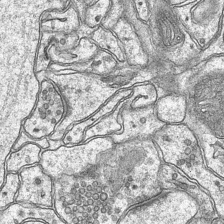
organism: Mouse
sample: CA1 Hippocampus